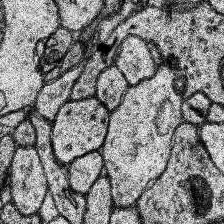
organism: Human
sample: Temporal Lobe